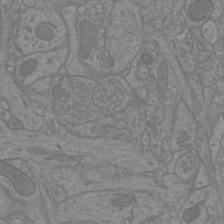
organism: Mouse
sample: Cortical neurons